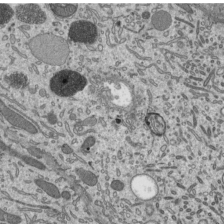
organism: Mouse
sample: Mouse epididymis efferent ductule cilia